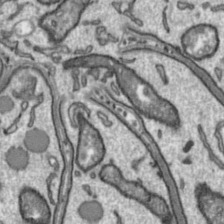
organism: Toxoplasma gondii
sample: Parasites in a vacuole inside a host cell